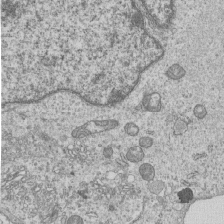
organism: Human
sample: MDA-MB-231 cells